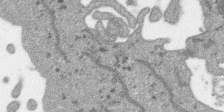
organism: Human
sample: Lung epithelial cells infected with SARS-CoV-2